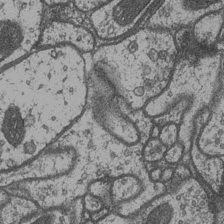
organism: Drosophila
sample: Optic medulla